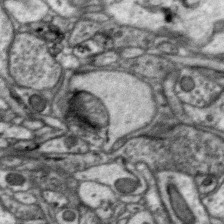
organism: Zebra finch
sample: Brain